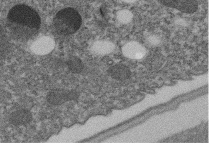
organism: C. elegans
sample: C. elegans embryo early stage